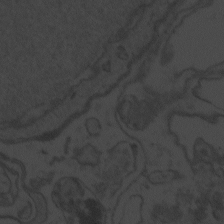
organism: Zebrafish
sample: Macrophage infected with Toxoplasma gondii